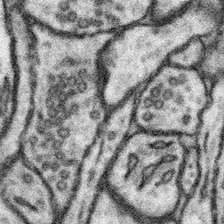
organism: Mouse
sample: Somatosensory cortex neuropil